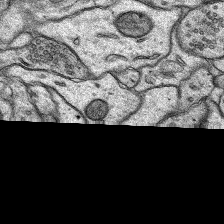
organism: Rat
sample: Hippocampus